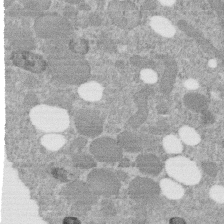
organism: C. elegans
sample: C. elegans embryo early stage